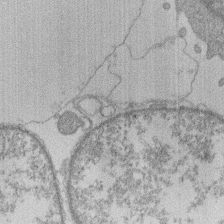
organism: Human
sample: Macrophage cells